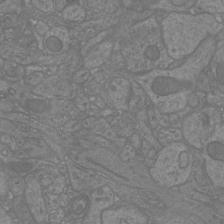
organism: Mouse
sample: Cortical neurons